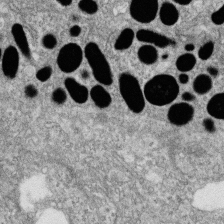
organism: Zebrafish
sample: Cilia; retinal pigment epithelium